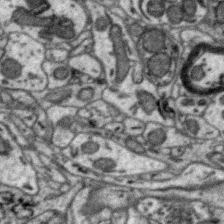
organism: Zebra finch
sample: Brain